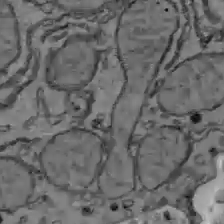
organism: C57BL Mouse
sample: Liver